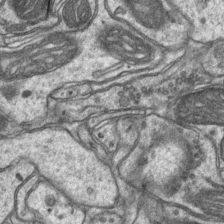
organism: Mouse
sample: CA1 Hippocampus